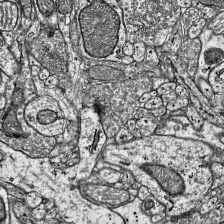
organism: Mouse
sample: Visual Cortex